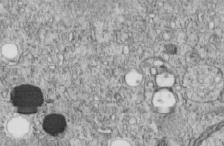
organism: C. elegans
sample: C. elegans embryo early stage